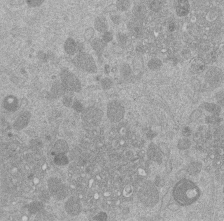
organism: Mouse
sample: Dividing mouse embryo 1 cell stage